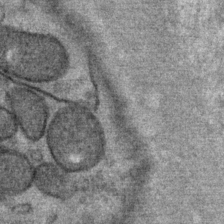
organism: Mouse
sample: Mouse Salivary gland